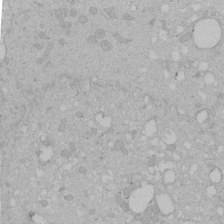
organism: Human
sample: Melanocyte Keratinocyte synapse skin construct